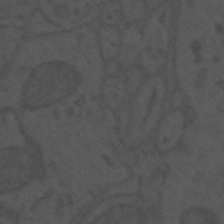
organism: Mouse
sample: Suprachiasmatic nucleus